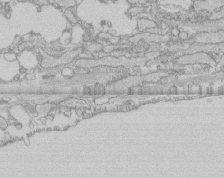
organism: Human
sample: CRL-1474